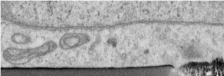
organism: Human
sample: Centriole in RPE cells